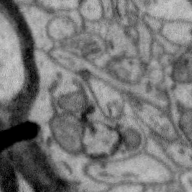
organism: Zebra finch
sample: Brain